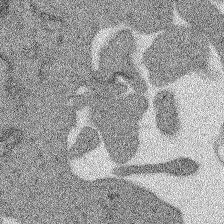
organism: Human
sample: HeLa cells